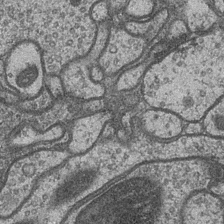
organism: Drosophila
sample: Optic medulla